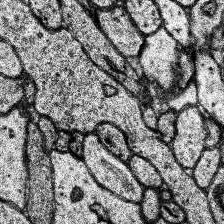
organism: Human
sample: Temporal Lobe